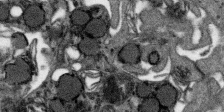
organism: Human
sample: Lung epithelial cells, uninfected (mock) control